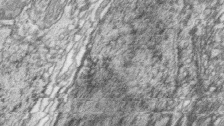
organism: Zebrafish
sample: synaptic ribbons in rod cells and cone cells